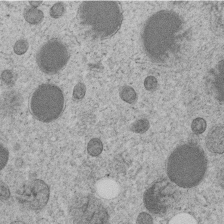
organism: C. elegans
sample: C. elegans embryo early stage